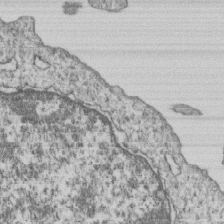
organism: Human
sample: MDA-MB-231 cells